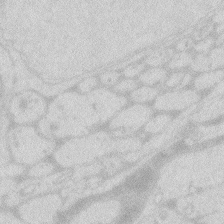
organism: Zebrafish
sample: Macrophage